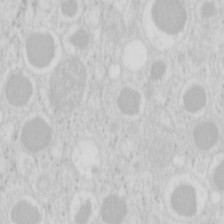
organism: Mouse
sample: Pancreas